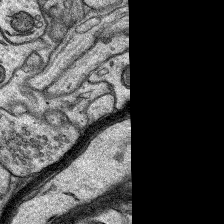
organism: Rat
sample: Hippocampus